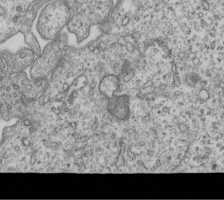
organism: Human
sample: MDA-MB-231 cells